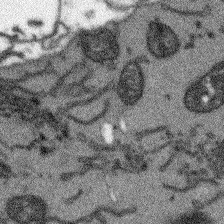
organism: Arabidopsis thaliana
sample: Root tip